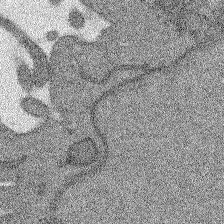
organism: Human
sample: HeLa cells